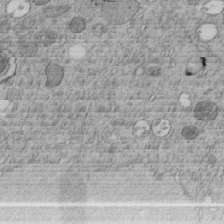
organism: C. elegans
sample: C. elegans embryo early stage